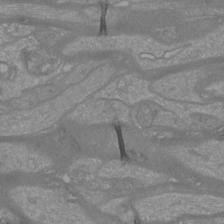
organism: Mouse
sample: Cortical neurons